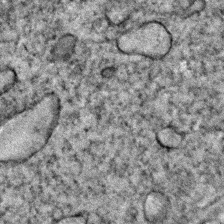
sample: Trachea